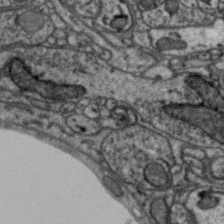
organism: Zebra finch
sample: Brain